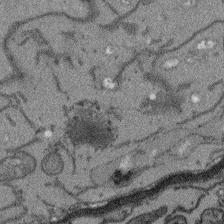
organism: Arabidopsis thaliana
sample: Root tip